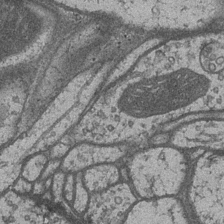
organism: Drosophila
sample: Optic medulla